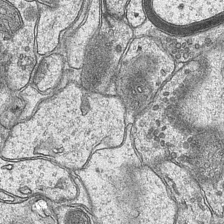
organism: Mouse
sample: CA1 Hippocampus